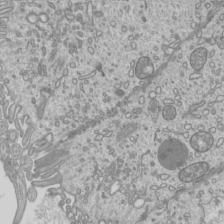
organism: Mouse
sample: Cilia; mouse epididymis